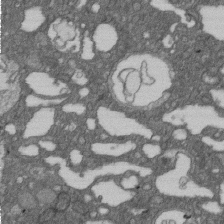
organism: Drosophila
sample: Nephrocyte